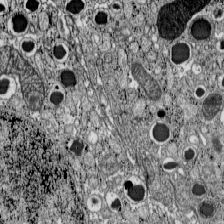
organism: C57BL Mouse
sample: Pancreatic islet